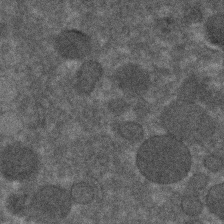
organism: C. elegans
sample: C. elegans embryo